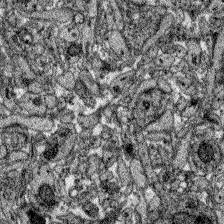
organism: Zebrafish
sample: Larval olfactory bulb